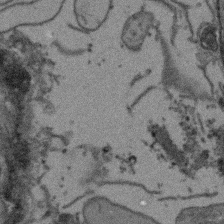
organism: Arabidopsis thaliana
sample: Root tip